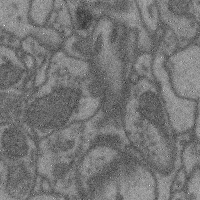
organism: Mouse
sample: Cerebral cortex